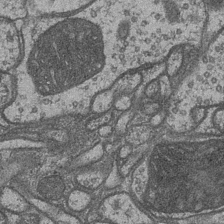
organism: Drosophila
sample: Optic medulla